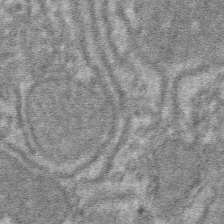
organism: Mouse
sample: Mouse hepatocytes